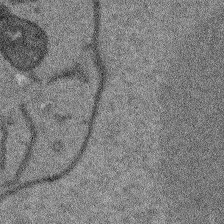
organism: Arabidopsis thaliana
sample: Root tip